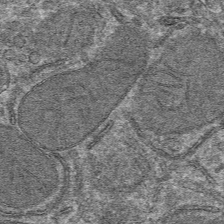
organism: Mouse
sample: Mouse hepatocytes